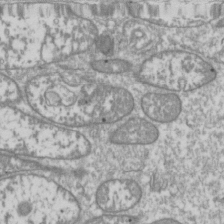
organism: Drosophila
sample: Cell division; meiosis; drosophila spermatocytes